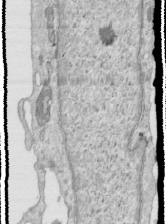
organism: Human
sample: Centriole in RPE cells